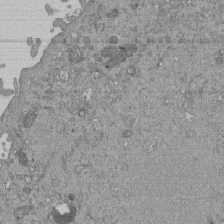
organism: Mouse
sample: ED-1 cell nuclei; centrioles